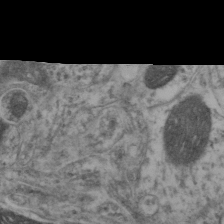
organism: Mouse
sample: Neocortex